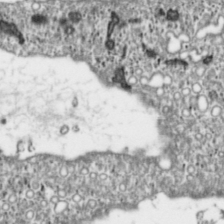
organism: Toxoplasma gondii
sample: Parasites in a vacuole inside a host cell